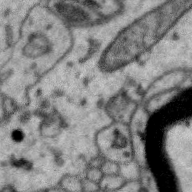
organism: Zebra finch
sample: Brain